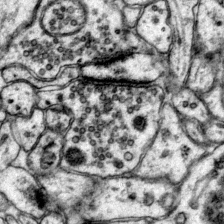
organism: Mouse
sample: Primary visual cortex